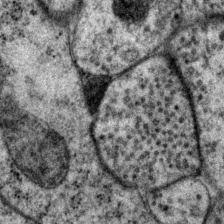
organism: P. pacificus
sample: Pharynx